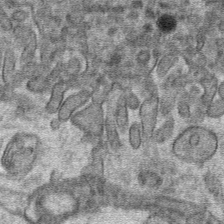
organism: Mouse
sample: Mouse hepatocytes